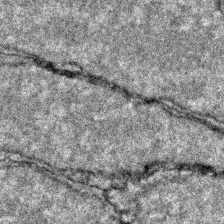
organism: Zebrafish